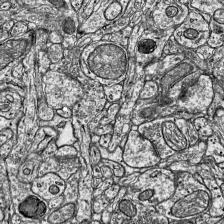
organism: Mouse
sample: Visual Cortex